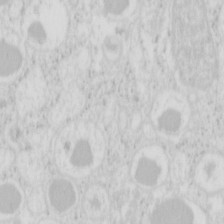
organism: Mouse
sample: Pancreas